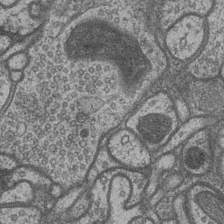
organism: Drosophila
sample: Optic medulla